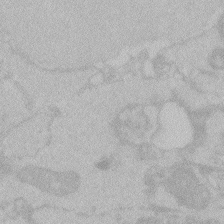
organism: Zebrafish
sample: Macrophage infected with Toxoplasma gondii